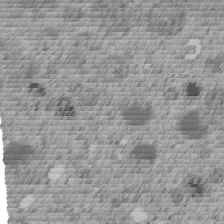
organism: C. elegans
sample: C. elegans embryo early stage